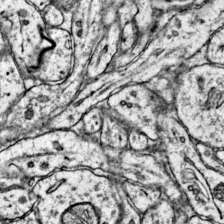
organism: Mouse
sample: Primary visual cortex